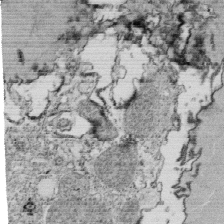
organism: Tetrahymena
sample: Cilia in tetrahymena